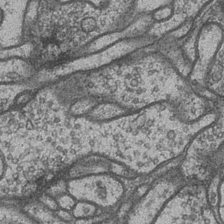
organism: Drosophila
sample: Optic medulla